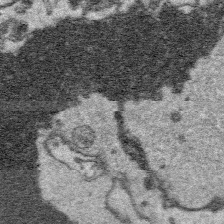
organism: Platynereis dumerilii